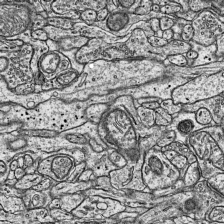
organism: Mouse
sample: Visual Cortex